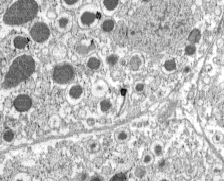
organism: C57BL Mouse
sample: Pancreatic islet